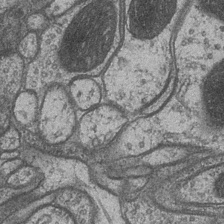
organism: Drosophila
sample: Optic medulla